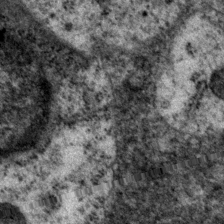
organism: P. pacificus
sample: Pharynx